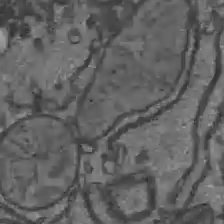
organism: C57BL Mouse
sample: Liver